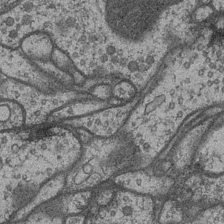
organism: Drosophila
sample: Optic medulla